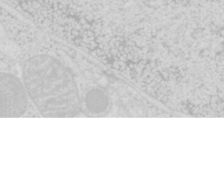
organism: Mouse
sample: Pancreas